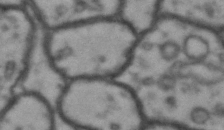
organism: Drosophila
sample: Brain